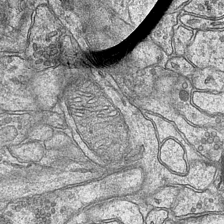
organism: Mouse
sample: CA1 Hippocampus